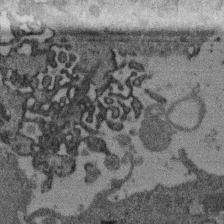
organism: Mouse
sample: Dividing mouse embryo 1 cell stage